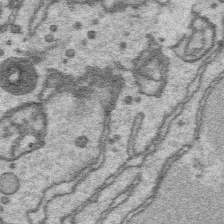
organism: Platynereis dumerilii